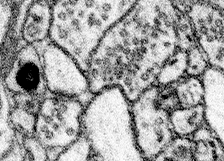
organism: Mouse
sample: Somatosensory cortex neuropil